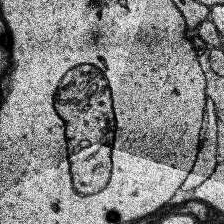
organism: Human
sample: Temporal Lobe